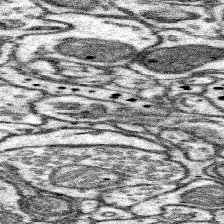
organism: Mouse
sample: Somatosensory cortex neuropil